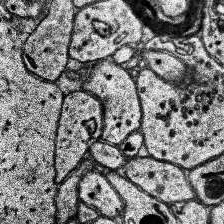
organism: Human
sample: Temporal Lobe